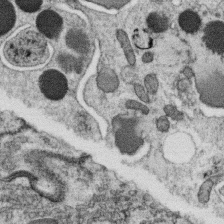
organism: C. elegans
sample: C. elegans oocyte; sperm cells